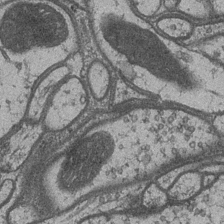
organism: Drosophila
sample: Optic medulla